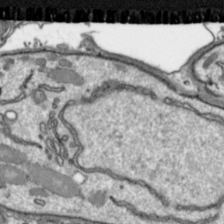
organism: Toxoplasma gondii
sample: Parasites in a vacuole inside a host cell